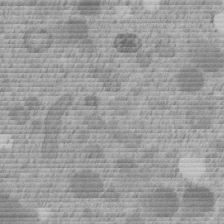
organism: C. elegans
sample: C. elegans embryo early stage